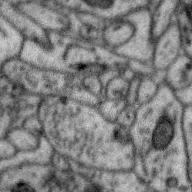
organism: Zebra finch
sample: Brain